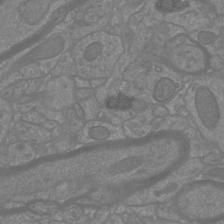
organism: Mouse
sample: Cortical neurons